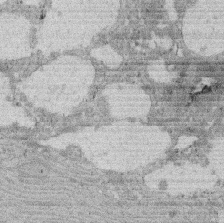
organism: Rat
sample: Salivary granule